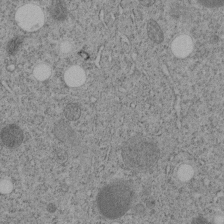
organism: C. elegans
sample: C. elegans embryo early stage